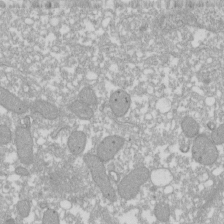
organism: Xenopus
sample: Cilia; centrioles in frog embryo cells